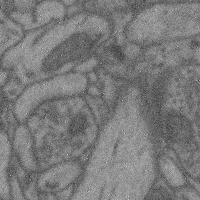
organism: Mouse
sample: Cerebral cortex